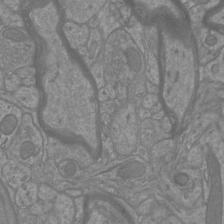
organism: Mouse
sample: Cortical neurons